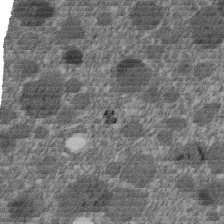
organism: C. elegans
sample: C. elegans embryo early stage